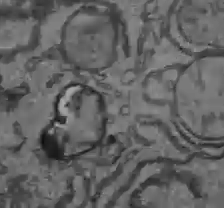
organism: C57BL Mouse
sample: Liver